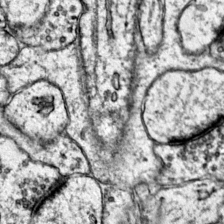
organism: Mouse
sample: Primary visual cortex